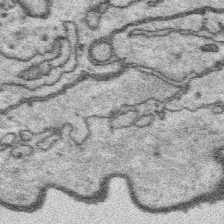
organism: Platynereis dumerilii